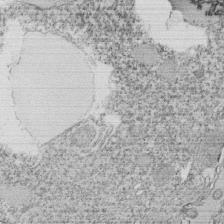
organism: Tetrahymena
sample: Cilia in tetrahymena